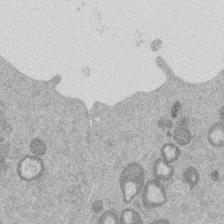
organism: Mouse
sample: Dividing mouse embryo 1 cell stage